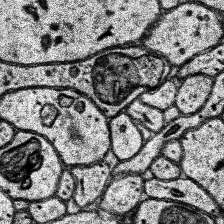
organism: Human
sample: Temporal Lobe